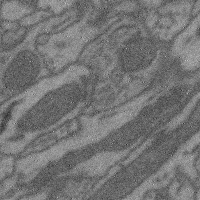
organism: Mouse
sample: Cerebral cortex